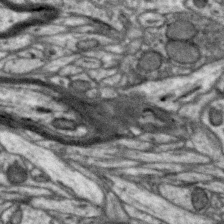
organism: Zebra finch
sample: Brain